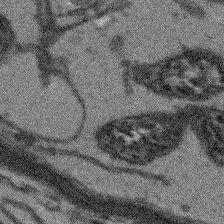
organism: Arabidopsis thaliana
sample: Root tip